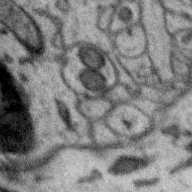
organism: Zebra finch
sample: Brain